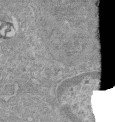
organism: Mouse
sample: Glomerulus